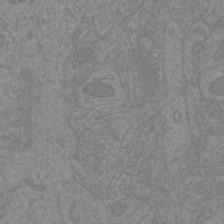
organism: Mouse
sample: Cortical neurons